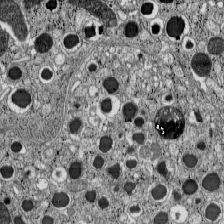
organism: C57BL Mouse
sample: Pancreatic islet